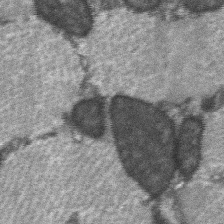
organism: C57BL Mouse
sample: Soleus